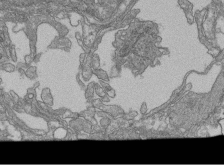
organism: Human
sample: Retinal organoid Rod and Cone cells